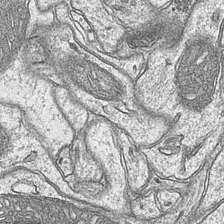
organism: Mouse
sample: CA1 Hippocampus